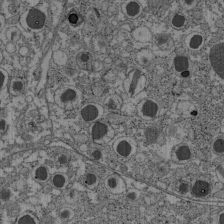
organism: C57BL Mouse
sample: Pancreatic islet